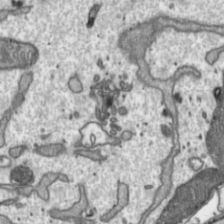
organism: Toxoplasma gondii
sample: Parasites in a vacuole inside a host cell